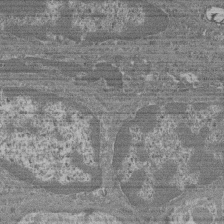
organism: Mouse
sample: Glomerulus